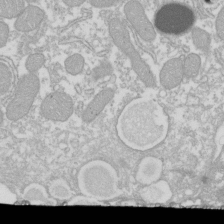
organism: Xenopus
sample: Cilia; centrioles in frog embryo cells